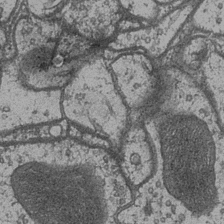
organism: Drosophila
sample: Optic medulla